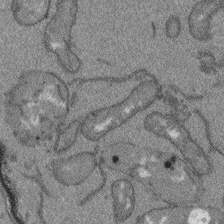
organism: Arabidopsis thaliana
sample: Root tip